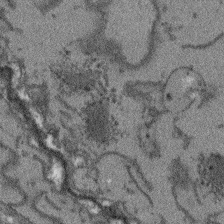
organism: Arabidopsis thaliana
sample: Root tip